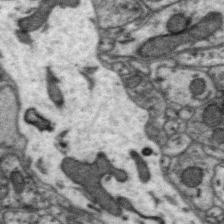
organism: Zebra finch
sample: Brain